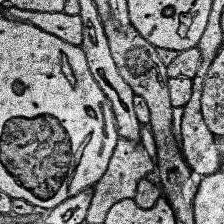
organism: Human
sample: Temporal Lobe